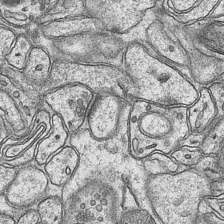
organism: Mouse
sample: CA1 Hippocampus